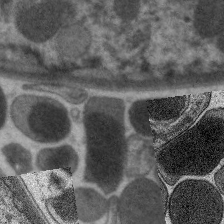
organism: C. elegans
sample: Pharynx